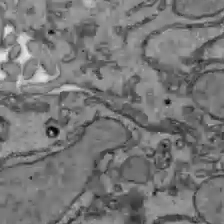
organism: C57BL Mouse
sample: Liver